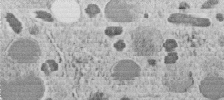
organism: C. elegans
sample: C. elegans embryo early stage